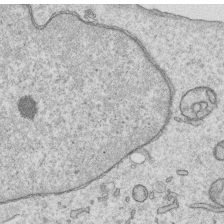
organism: Human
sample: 1205lu cells